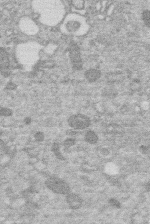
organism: Human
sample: Macrophage cells